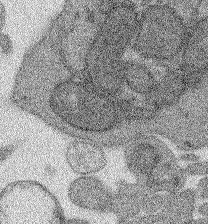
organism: Human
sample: HeLa cells